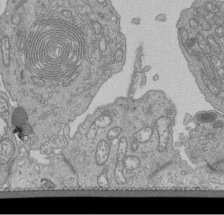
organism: Human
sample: Retinal organoid Rod and Cone cells